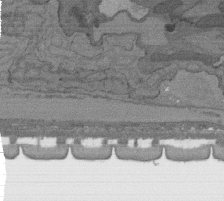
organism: C. elegans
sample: AFD neurons C. elegans